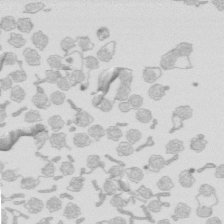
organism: Mouse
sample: Multiciliated cells